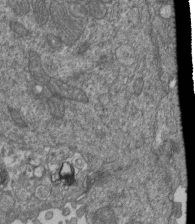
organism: Human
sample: Retinal organoid Rod and Cone cells